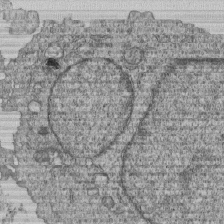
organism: Human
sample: MDA-MB-231 cells